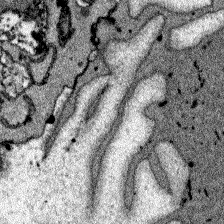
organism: Zebrafish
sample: Larval olfactory bulb